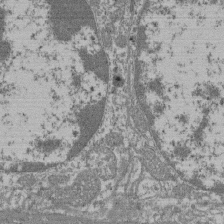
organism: Mouse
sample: Glomerulus